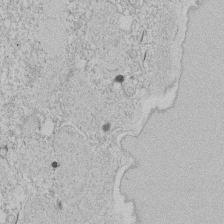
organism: Tetrahymena